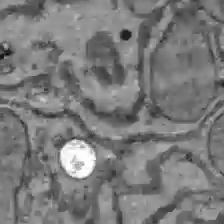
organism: C57BL Mouse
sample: Liver